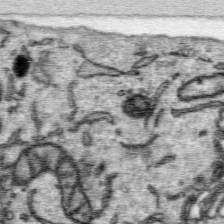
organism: Human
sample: HeLa cells